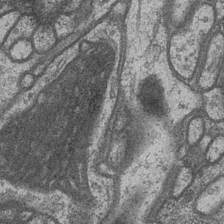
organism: Drosophila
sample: Optic medulla